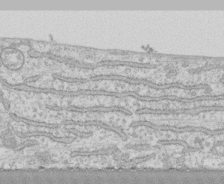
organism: Human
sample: CRL-1474